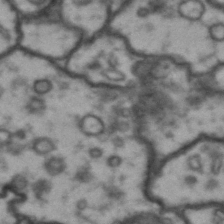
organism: Drosophila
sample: Brain